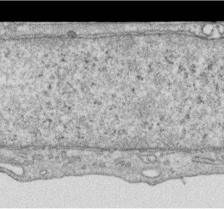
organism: Human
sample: Centriole in RPE cells